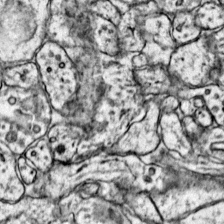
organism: Mouse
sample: Primary visual cortex